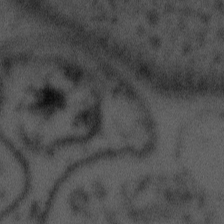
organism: Tuwongella immobilis